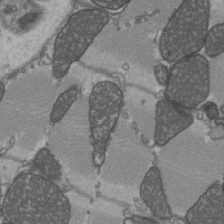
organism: C57BL Mouse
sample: Heart